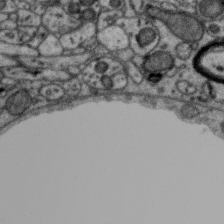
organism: Zebra finch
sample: Brain